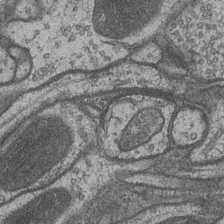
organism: Drosophila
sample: Optic medulla